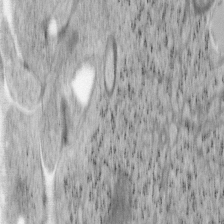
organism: Human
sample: HeLa cells